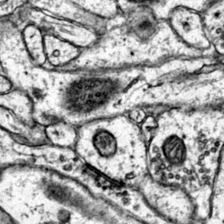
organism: Mouse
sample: Primary visual cortex